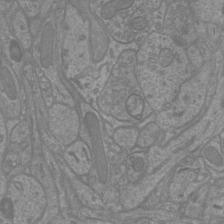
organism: Mouse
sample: Cortical neurons